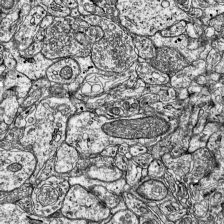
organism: Mouse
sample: Visual Cortex